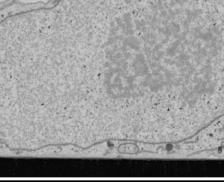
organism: Human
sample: Mitochondria in U2OS cells